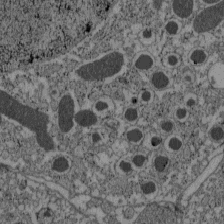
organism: C57BL Mouse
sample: Pancreatic islet